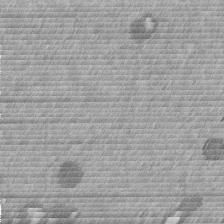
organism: Mouse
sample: Dividing mouse embryo 1 cell stage